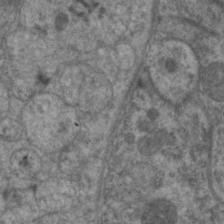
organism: C. elegans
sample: Pharynx